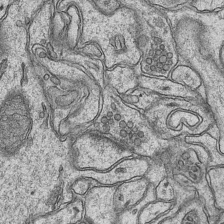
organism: Mouse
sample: CA1 Hippocampus